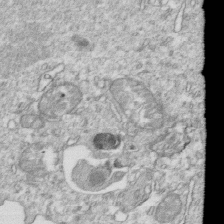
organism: Mouse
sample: Activated OT-1 CD8+ T cells